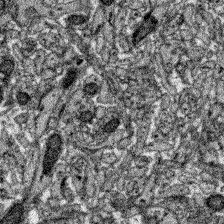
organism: Zebrafish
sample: Larval olfactory bulb